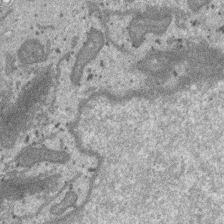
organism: Human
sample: Lung epithelial cells infected with SARS-CoV-2